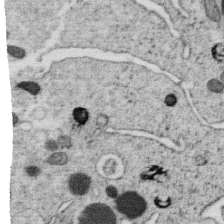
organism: C. elegans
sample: C. elegans oocyte; sperm cells